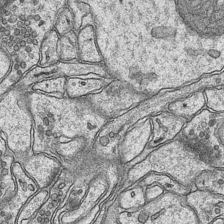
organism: Mouse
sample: CA1 Hippocampus